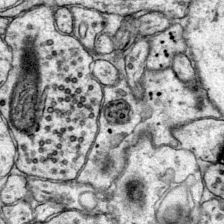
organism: Mouse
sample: Primary visual cortex